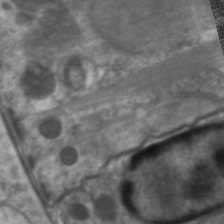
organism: C. elegans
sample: Pharynx